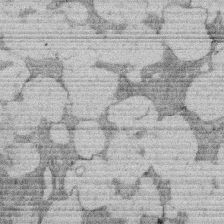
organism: Rat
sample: Salivary granule